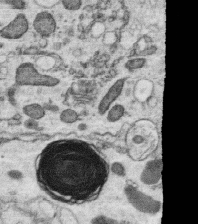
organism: C. elegans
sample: C. elegans oocyte; sperm cells